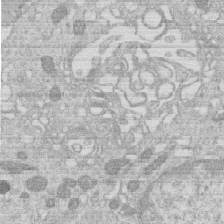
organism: Human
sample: Macrophage cells